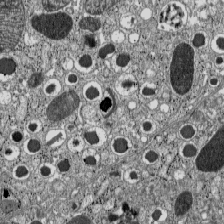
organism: C57BL Mouse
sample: Pancreatic islet